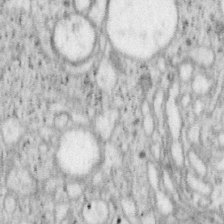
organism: Mouse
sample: OT-I killer T cells with ID8 ovarian cancer cells